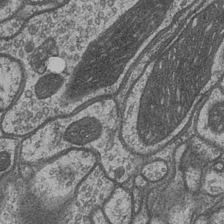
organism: Drosophila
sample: Optic medulla